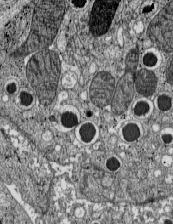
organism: C57BL Mouse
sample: Pancreatic islet